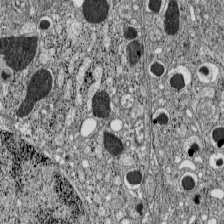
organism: C57BL Mouse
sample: Pancreatic islet